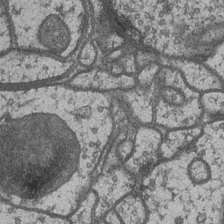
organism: Drosophila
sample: Optic medulla